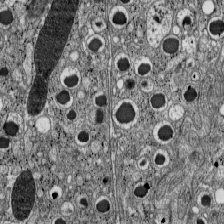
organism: C57BL Mouse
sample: Pancreatic islet